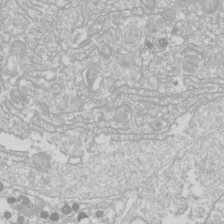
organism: Drosophila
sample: Cell division; meiosis; drosophila spermatocytes